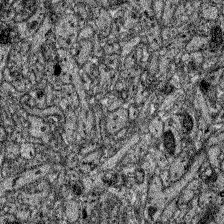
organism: Zebrafish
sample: Larval olfactory bulb